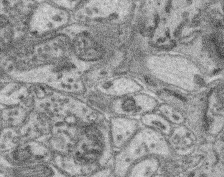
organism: Mouse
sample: Retina